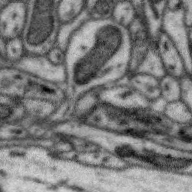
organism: Zebra finch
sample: Brain